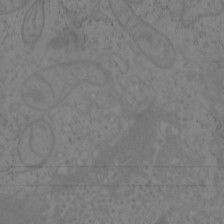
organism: Human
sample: HeLa cells